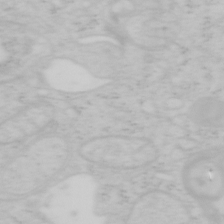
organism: Mouse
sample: OT-I killer T cells with ID8 ovarian cancer cells